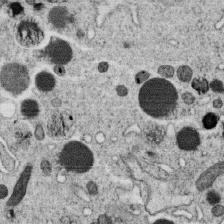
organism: C. elegans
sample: C. elegans oocyte; sperm cells